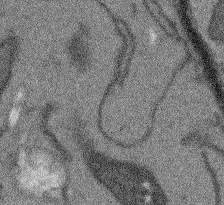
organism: Arabidopsis thaliana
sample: Root tip